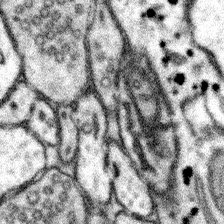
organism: Mouse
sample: Somatosensory cortex neuropil